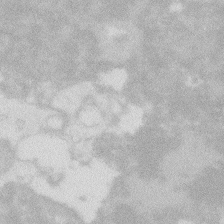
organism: Zebrafish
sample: Macrophage